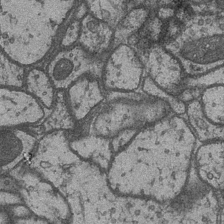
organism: Drosophila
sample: Optic medulla